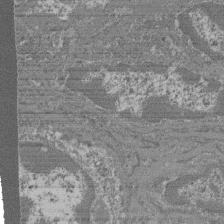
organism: Mouse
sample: Glomerulus